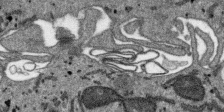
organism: Human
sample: Lung epithelial cells, uninfected (mock) control